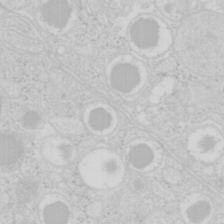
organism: Mouse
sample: Pancreas